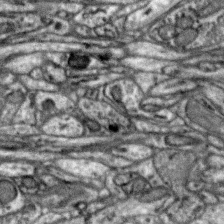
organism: Zebra finch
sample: Brain